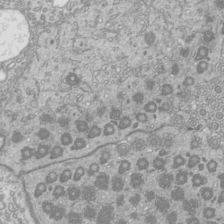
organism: Mouse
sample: Cilia; mouse epididymis